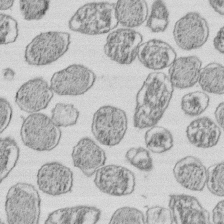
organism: E. coli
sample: Bacterial nucleoid